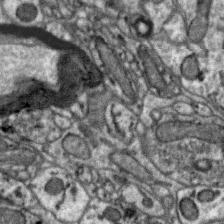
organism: Zebra finch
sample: Brain